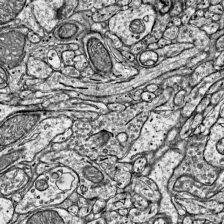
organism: Mouse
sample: Visual Cortex